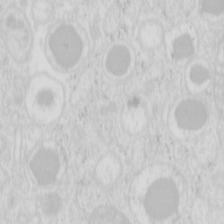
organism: Mouse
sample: Pancreas